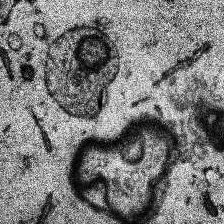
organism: Human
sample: Temporal Lobe